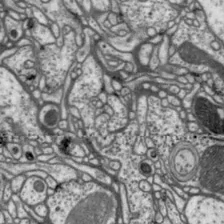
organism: Drosophila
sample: Protocerebral bridge